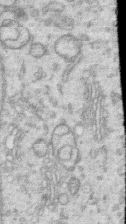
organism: Human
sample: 1205lu cells